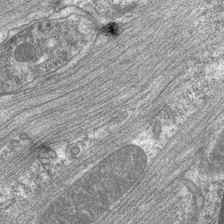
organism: C. elegans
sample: Pharynx